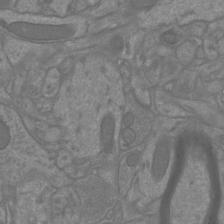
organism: Mouse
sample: Cortical neurons